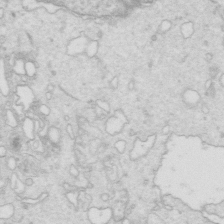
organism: Mouse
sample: Multiciliated cells